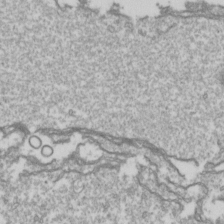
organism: Drosophila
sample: Cell division; meiosis; drosophila spermatocytes